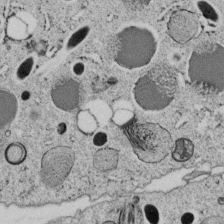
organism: C. elegans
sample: C. elegans embryo early stage